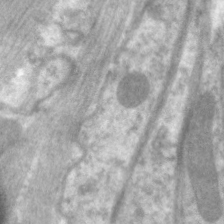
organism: C. elegans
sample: Pharynx